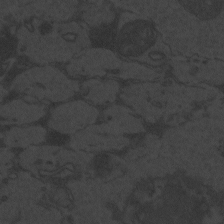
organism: Zebrafish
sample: Macrophage infected with Toxoplasma gondii